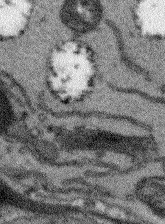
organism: Arabidopsis thaliana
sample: Root tip